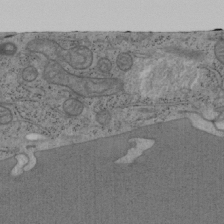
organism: Human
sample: HeLa cells